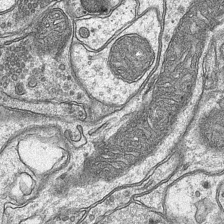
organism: Mouse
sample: CA1 Hippocampus